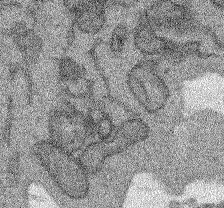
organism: Human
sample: HeLa cells